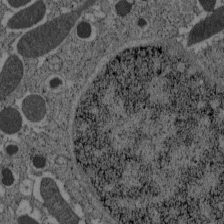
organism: C57BL Mouse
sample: Pancreatic islet